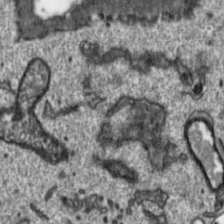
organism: Toxoplasma gondii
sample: Parasites in a vacuole inside a host cell